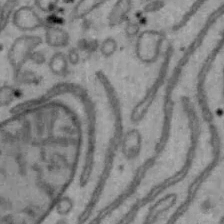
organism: Mouse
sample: Liver